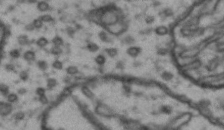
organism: Drosophila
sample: Brain